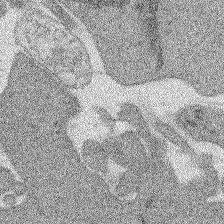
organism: Human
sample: HeLa cells